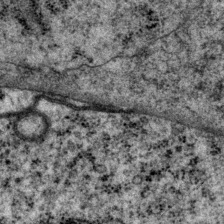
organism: P. pacificus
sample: Pharynx